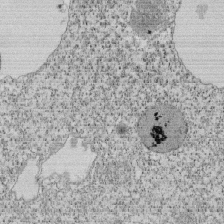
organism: Tetrahymena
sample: Cilia in tetrahymena